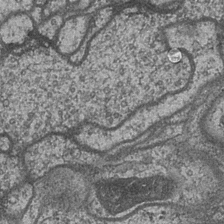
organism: Drosophila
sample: Optic medulla